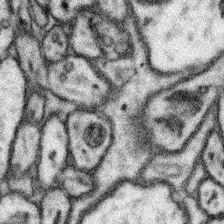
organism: Mouse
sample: Somatosensory cortex neuropil